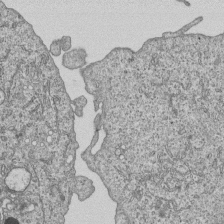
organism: Human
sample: MDA-MB-231 cells